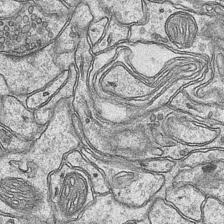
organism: Mouse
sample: CA1 Hippocampus